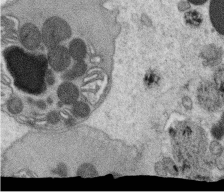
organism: C. elegans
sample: C. elegans oocyte; sperm cells